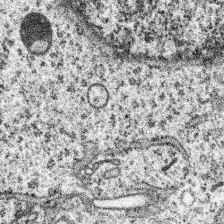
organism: Human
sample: HeLa cells